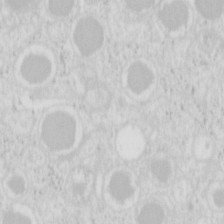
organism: Mouse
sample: Pancreas